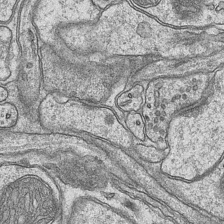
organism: Mouse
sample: CA1 Hippocampus